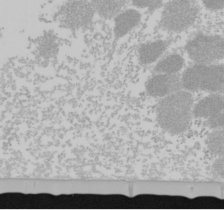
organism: Mouse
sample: Cancer cell death in ED-1 cells